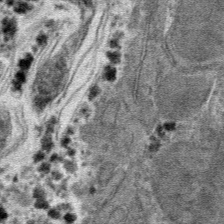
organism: Mouse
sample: Mouse hepatocytes